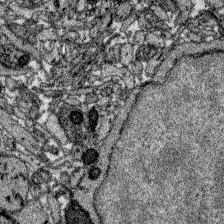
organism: Zebrafish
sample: Larval olfactory bulb